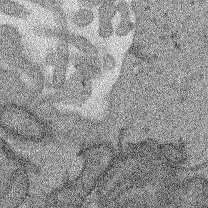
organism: Human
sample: HeLa cells